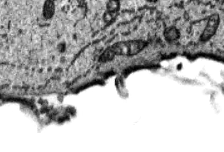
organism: Human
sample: HeLa cells